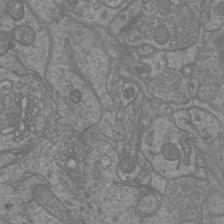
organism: Mouse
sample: Cortical neurons